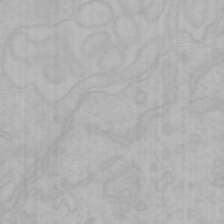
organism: Mouse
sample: Choroid plexus